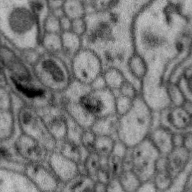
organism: Zebra finch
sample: Brain